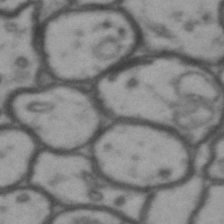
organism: Drosophila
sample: Brain